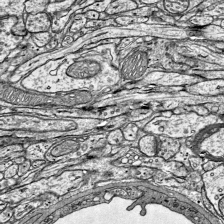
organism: Mouse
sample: Visual Cortex